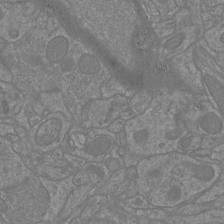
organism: Mouse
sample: Cortical neurons